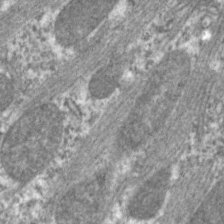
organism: C. elegans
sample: Pharynx